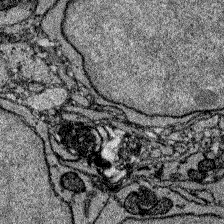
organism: Zebrafish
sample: Larval olfactory bulb